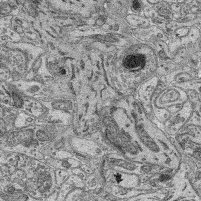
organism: Mouse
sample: Retina